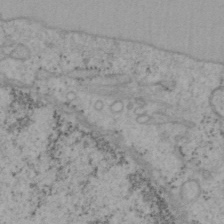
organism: Human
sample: HeLa cells